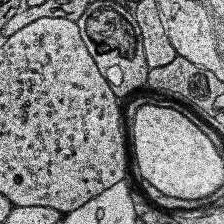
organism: Human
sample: Temporal Lobe